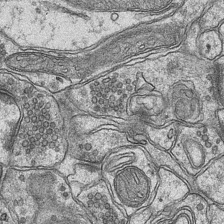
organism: Mouse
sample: CA1 Hippocampus